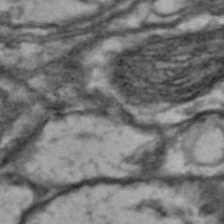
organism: Drosophila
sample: Brain